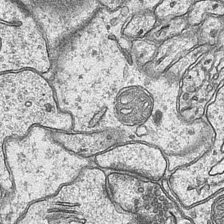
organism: Mouse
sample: CA1 Hippocampus